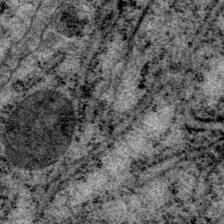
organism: P. pacificus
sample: Pharynx